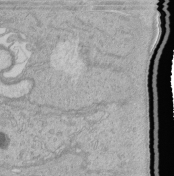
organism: Human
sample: Retinal organoid Rod and Cone cells